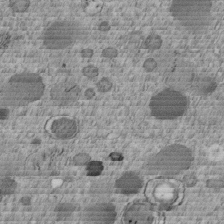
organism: C. elegans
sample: C. elegans embryo early stage